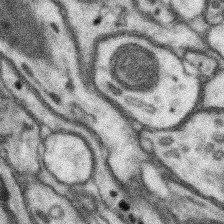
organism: Mouse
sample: Somatosensory cortex neuropil